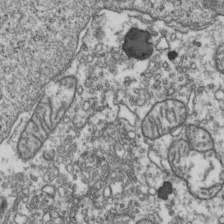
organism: Human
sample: Activated Jurkat CD4+ T cells